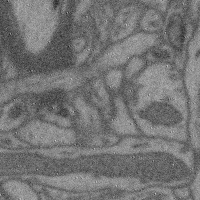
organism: Mouse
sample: Cerebral cortex